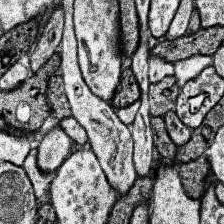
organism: Human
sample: Temporal Lobe